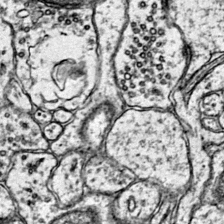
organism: Mouse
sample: Primary visual cortex